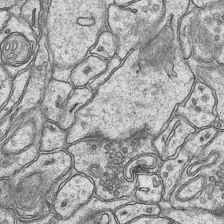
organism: Mouse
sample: CA1 Hippocampus